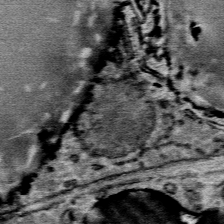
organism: Mouse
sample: Mouse Salivary gland